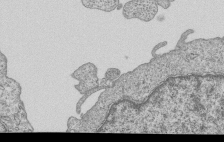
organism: Human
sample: MDA-MB-231 cells